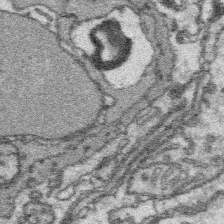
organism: Platynereis dumerilii